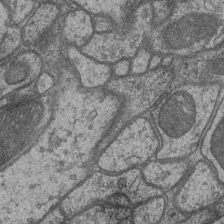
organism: Drosophila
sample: Optic medulla